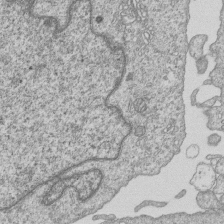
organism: Human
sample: MDA-MB-231 cells